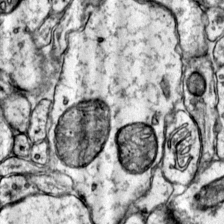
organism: Mouse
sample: Primary visual cortex